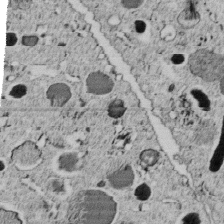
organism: C. elegans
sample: C. elegans embryo early stage